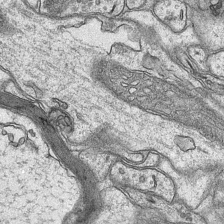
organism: Mouse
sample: CA1 Hippocampus